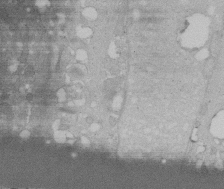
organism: Human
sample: Melanocyte Keratinocyte synapse skin construct